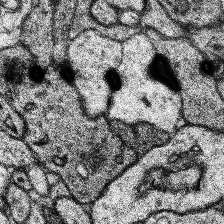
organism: Human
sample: Temporal Lobe